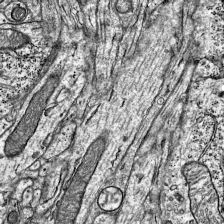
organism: Mouse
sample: Visual Cortex